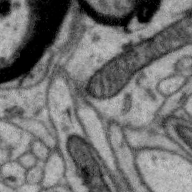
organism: Zebra finch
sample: Brain